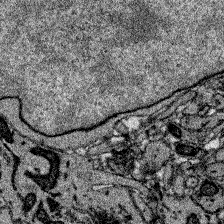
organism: Zebrafish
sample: Larval olfactory bulb